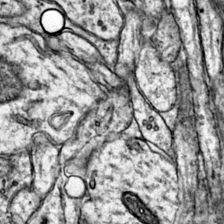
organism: Mouse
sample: Primary visual cortex